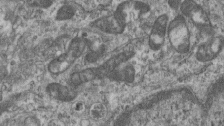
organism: Mouse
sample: Centriole in ependymal cells